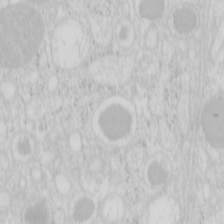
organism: Mouse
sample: Pancreas